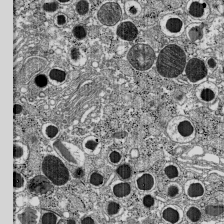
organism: C57BL Mouse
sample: Pancreatic islet